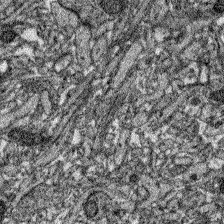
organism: Zebrafish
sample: Larval olfactory bulb